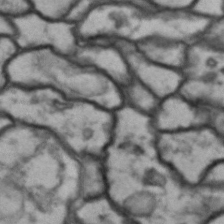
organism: Drosophila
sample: Brain